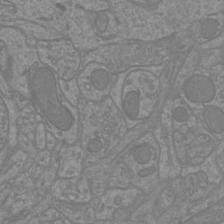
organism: Mouse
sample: Cortical neurons